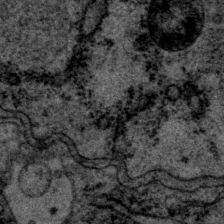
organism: P. pacificus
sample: Pharynx